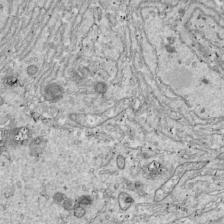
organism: Drosophila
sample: Cell division; meiosis; drosophila spermatocytes